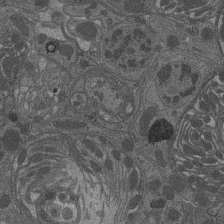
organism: Drosophila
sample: Antenna